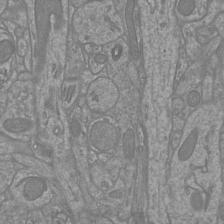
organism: Mouse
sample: Cortical neurons